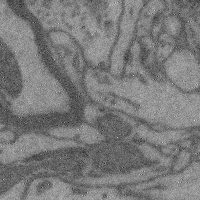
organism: Mouse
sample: Cerebral cortex